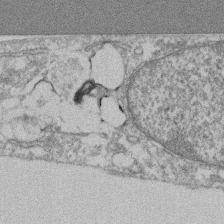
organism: Mouse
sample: T cell stromal cell synapse